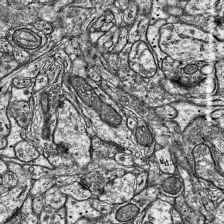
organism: Mouse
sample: Visual Cortex